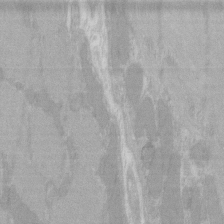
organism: C57BL Mouse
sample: Tibialis anterior muscle cell